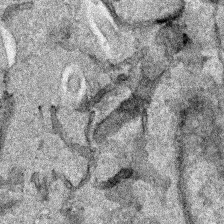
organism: Human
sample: Mitochondria in HCT116 cells